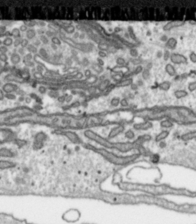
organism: Toxoplasma gondii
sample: Parasites in a vacuole inside a host cell